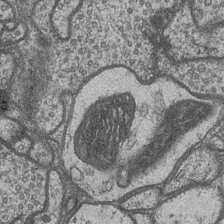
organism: Drosophila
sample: Optic medulla